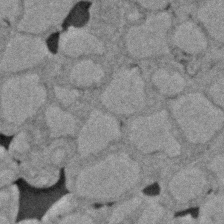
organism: Zebrafish